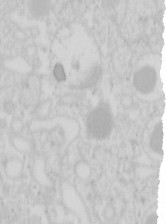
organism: Mouse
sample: Pancreas